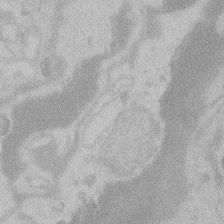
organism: Zebrafish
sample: Macrophage infected with Toxoplasma gondii